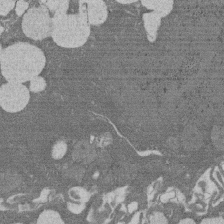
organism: Rat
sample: Salivary granule